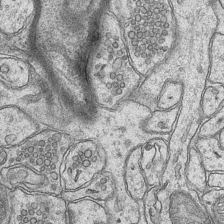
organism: Mouse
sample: CA1 Hippocampus